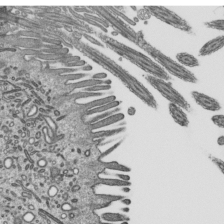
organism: Mouse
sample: Mouse epididymis efferent ductule cilia